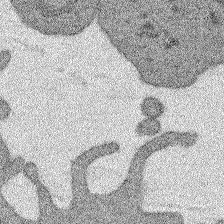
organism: Human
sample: HeLa cells